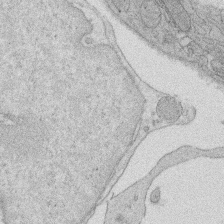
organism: Rat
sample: Salivary granule